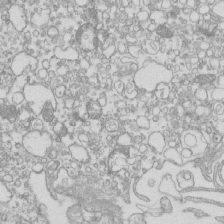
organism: Mouse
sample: Macrophages